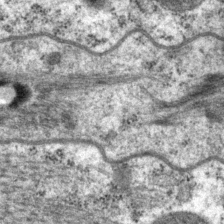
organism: P. pacificus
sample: Pharynx